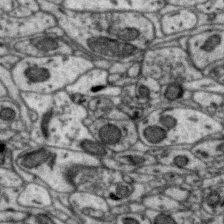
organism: Zebra finch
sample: Brain